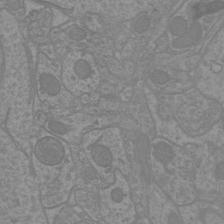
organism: Mouse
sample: Cortical neurons